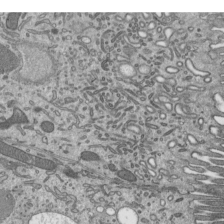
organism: Mouse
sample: Mouse epididymis efferent ductule cilia